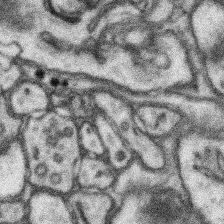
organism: Mouse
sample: Somatosensory cortex neuropil